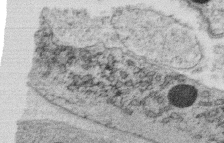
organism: C. elegans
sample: C. elegans oocyte; sperm cells